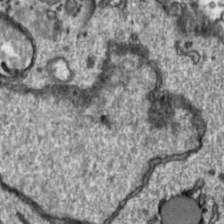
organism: Toxoplasma gondii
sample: Parasites in a vacuole inside a host cell